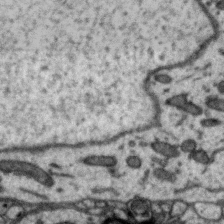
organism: Zebra finch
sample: Brain